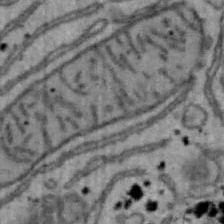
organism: Mouse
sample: Liver